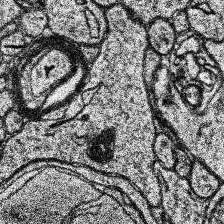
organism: Human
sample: Temporal Lobe